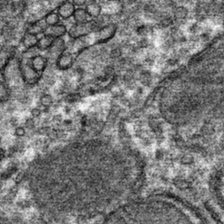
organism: Mouse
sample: Mouse hepatocytes